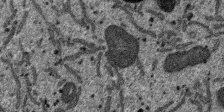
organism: Human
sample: Lung epithelial cells infected with SARS-CoV-2